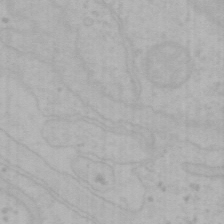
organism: Mouse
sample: Choroid plexus